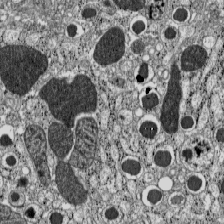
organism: C57BL Mouse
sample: Pancreatic islet